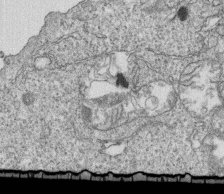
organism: Human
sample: HeLa cell HIV synapse